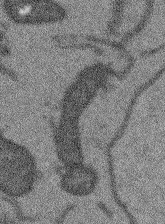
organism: Arabidopsis thaliana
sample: Root tip